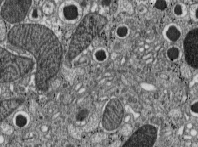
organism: C57BL Mouse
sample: Pancreatic islet